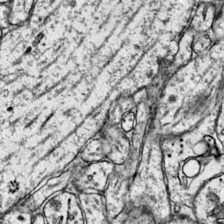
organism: Mouse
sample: Primary visual cortex